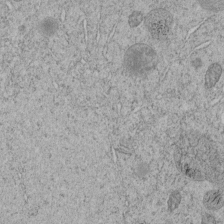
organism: C. elegans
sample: C. elegans embryo early stage